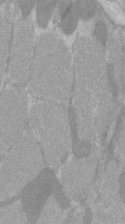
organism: C57BL Mouse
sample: Tibialis anterior muscle cell